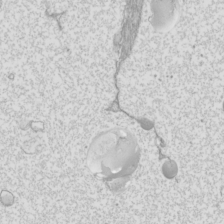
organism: Mouse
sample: Cilia; mouse epididymis